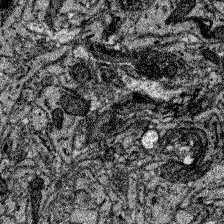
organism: Zebrafish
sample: Larval olfactory bulb